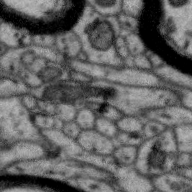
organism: Zebra finch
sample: Brain